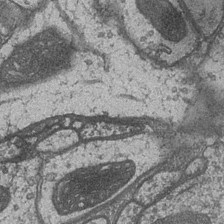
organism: Drosophila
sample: Optic medulla